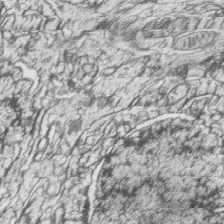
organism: Zebrafish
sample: synaptic ribbons in rod cells and cone cells